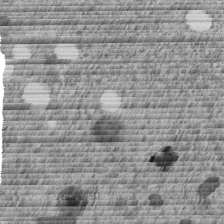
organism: C. elegans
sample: C. elegans embryo early stage